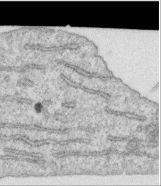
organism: Human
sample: Centriole in RPE cells